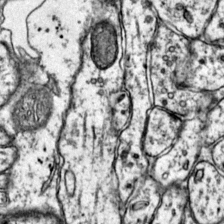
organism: Mouse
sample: Primary visual cortex